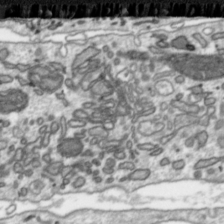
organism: Toxoplasma gondii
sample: Parasites in a vacuole inside a host cell